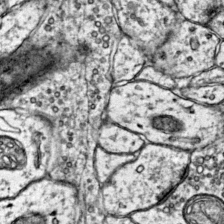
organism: Mouse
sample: Primary visual cortex